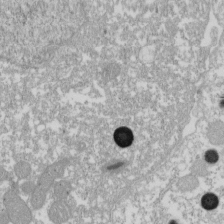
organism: Xenopus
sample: Cilia; centrioles in frog embryo cells